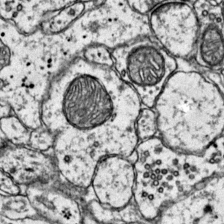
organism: Mouse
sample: Primary visual cortex